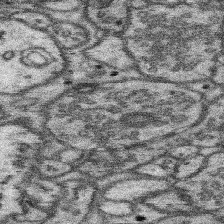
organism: Mouse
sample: Somatosensory cortex neuropil